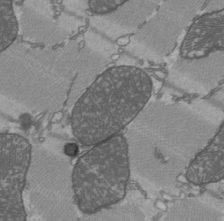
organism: C57BL Mouse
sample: Heart